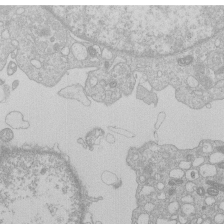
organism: Human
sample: Macrophage cells